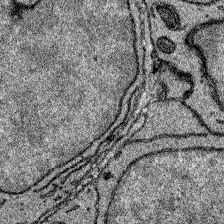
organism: Zebrafish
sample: Larval olfactory bulb